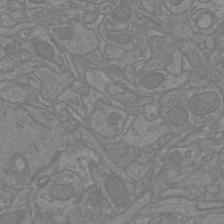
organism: Mouse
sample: Cortical neurons